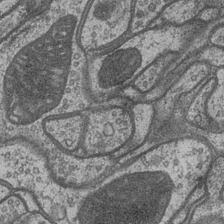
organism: Drosophila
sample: Optic medulla